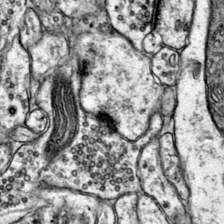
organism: Mouse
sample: Primary visual cortex